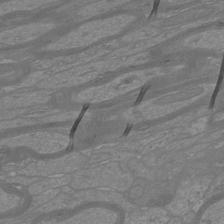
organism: Mouse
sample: Cortical neurons